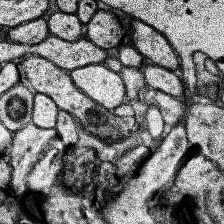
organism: Human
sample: Temporal Lobe